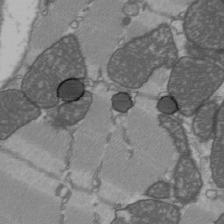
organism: C57BL Mouse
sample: Heart